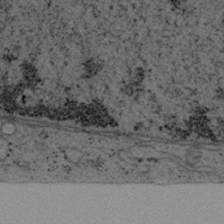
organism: Human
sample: HeLa cells